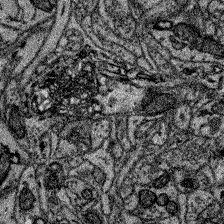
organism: Zebrafish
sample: Larval olfactory bulb